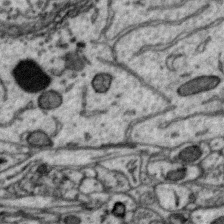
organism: Zebra finch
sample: Brain